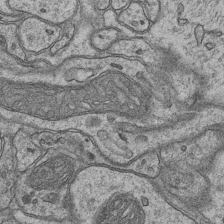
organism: Mouse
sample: CA1 Hippocampus